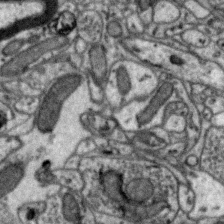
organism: Zebra finch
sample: Brain